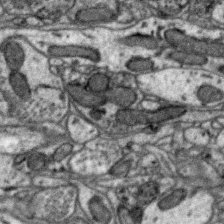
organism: Zebra finch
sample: Brain